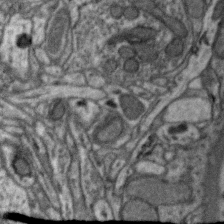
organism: Zebra finch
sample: Brain